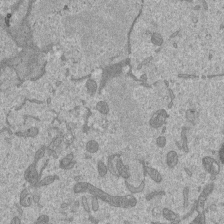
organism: Mouse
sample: ED-1 cell nuclei; centrioles